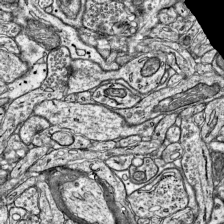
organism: Mouse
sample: Visual Cortex